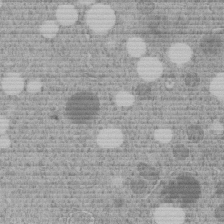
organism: C. elegans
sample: C. elegans embryo early stage